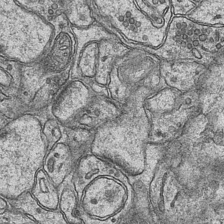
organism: Mouse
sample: CA1 Hippocampus